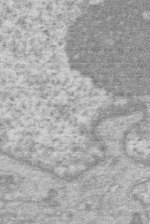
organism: Human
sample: Macrophage cells